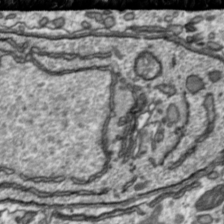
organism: Toxoplasma gondii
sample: Parasites in a vacuole inside a host cell